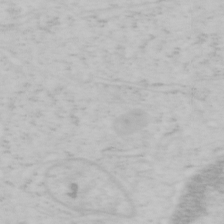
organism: Mouse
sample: OT-I killer T cells with ID8 ovarian cancer cells